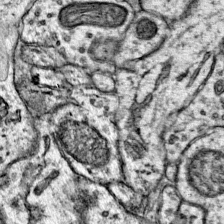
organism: Mouse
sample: Primary visual cortex